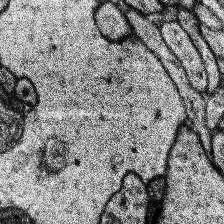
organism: Human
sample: Temporal Lobe